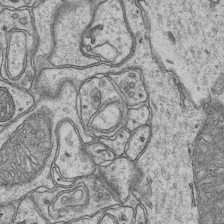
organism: Mouse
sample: CA1 Hippocampus